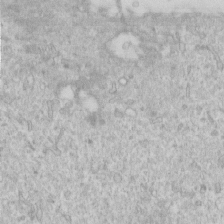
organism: Human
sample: Centriole in RPE cells